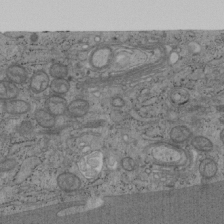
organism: Human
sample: HeLa cells